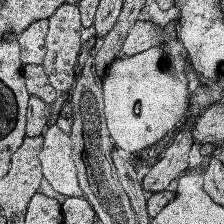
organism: Human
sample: Temporal Lobe